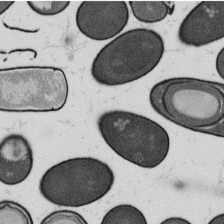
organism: B. subtilis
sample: Bacterial spore